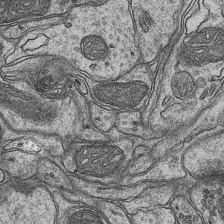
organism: Mouse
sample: CA1 Hippocampus